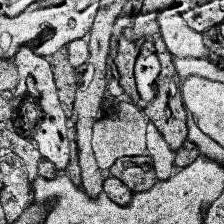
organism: Human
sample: Temporal Lobe